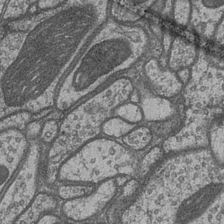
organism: Drosophila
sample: Optic medulla